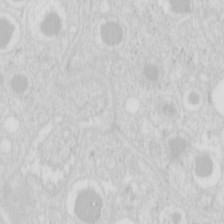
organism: Mouse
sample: Pancreas